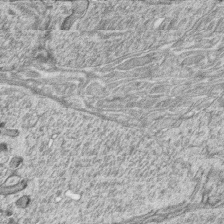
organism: Zebrafish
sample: synaptic ribbons in rod cells and cone cells